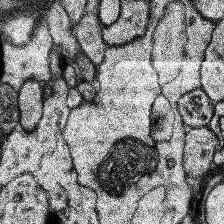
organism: Human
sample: Temporal Lobe